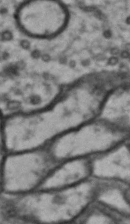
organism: Drosophila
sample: Brain